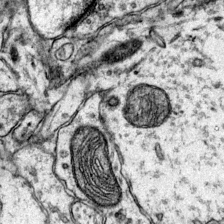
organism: Mouse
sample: Primary visual cortex